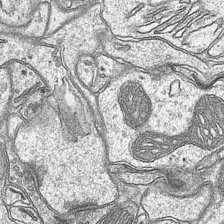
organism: Mouse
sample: CA1 Hippocampus